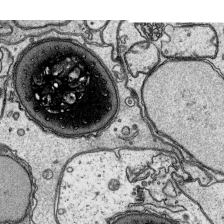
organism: Platynereis dumerilii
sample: Parapodia